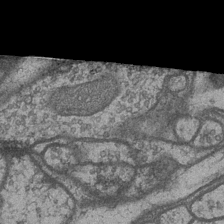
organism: Drosophila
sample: Optic medulla